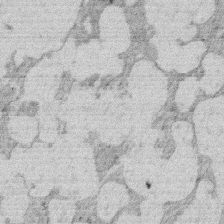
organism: Rat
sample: Salivary granule